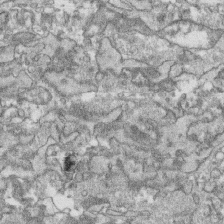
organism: Human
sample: CRL-1474